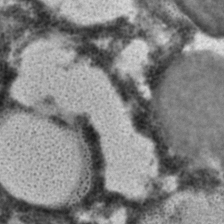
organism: C. elegans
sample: C. elegans embryo